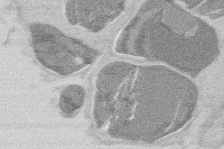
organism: Mouse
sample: T cell stromal cell synapse